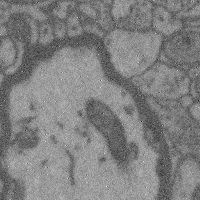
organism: Mouse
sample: Cerebral cortex